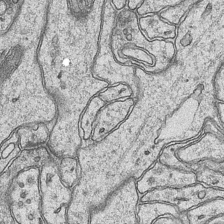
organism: Mouse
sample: CA1 Hippocampus